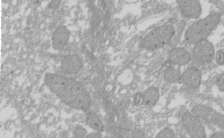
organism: Xenopus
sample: Cilia; centrioles in frog embryo cells